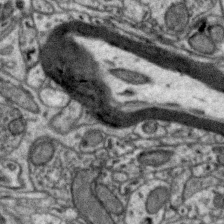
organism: Zebra finch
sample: Brain